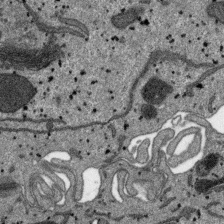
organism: Human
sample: Lung epithelial cells, uninfected (mock) control